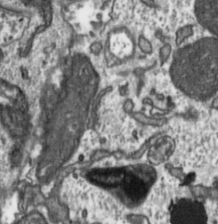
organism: Toxoplasma gondii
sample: Parasites in a vacuole inside a host cell